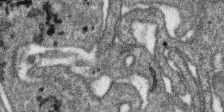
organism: Human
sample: Lung epithelial cells infected with SARS-CoV-2